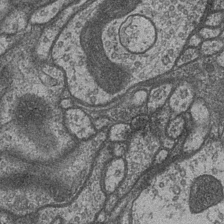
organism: Drosophila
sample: Optic medulla